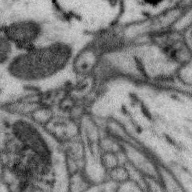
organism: Zebra finch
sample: Brain